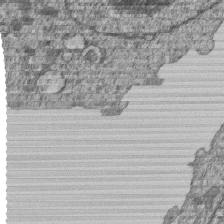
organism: Human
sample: MDA-MB-231 cells